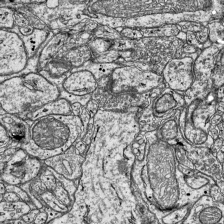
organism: Mouse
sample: Visual Cortex